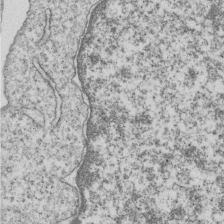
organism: Human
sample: MDA-MB-231 cells